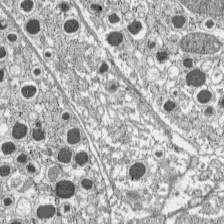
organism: C57BL Mouse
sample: Pancreatic islet